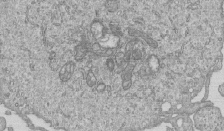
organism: Human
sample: MDA-MB-231 cells